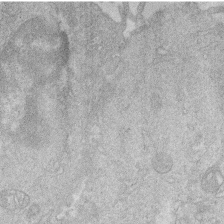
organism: Human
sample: Macrophage cells